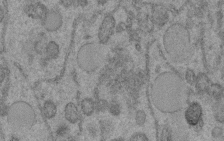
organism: C. elegans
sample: C. elegans embryo early stage